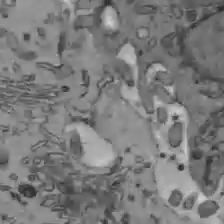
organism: C57BL Mouse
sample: Liver